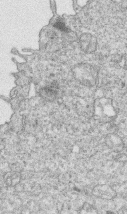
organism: Human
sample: HeLa cell HIV synapse